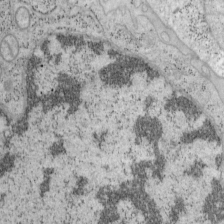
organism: Mouse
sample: OT-I killer T cells with ID8 ovarian cancer cells